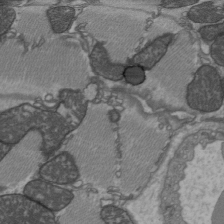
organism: C57BL Mouse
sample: Heart